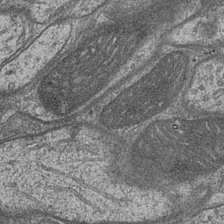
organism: Drosophila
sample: Optic medulla